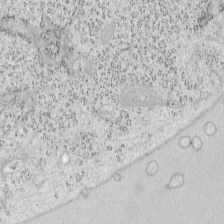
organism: Mouse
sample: OT-I killer T cells with ID8 ovarian cancer cells